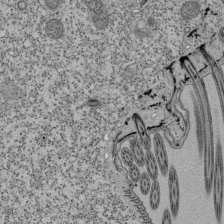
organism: Tetrahymena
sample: Cilia in tetrahymena